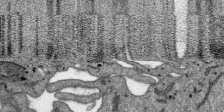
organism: Human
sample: Lung epithelial cells, uninfected (mock) control